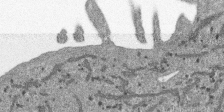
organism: Human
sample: Lung epithelial cells infected with SARS-CoV-2